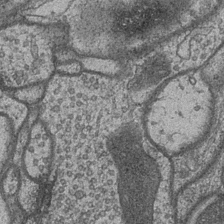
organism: Drosophila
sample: Optic medulla